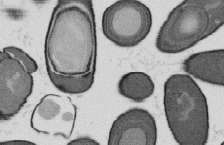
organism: B. subtilis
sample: Bacterial spore